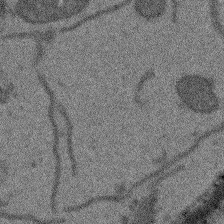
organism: Arabidopsis thaliana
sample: Root tip